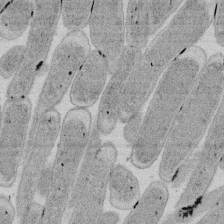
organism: E. coli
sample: Bacterial nucleoid